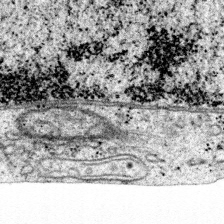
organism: Human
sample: HeLa cells